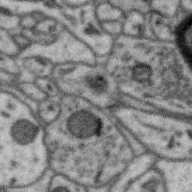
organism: Zebra finch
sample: Brain